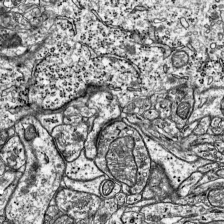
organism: Mouse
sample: Visual Cortex